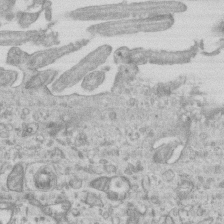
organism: Mouse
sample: Centriole in ependymal cells